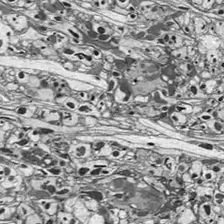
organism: Drosophila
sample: Optic lobe